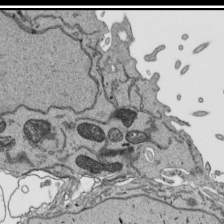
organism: Human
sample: Mitochondria in HCT116 cells